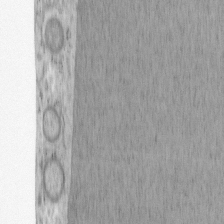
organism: Human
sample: HeLa cells